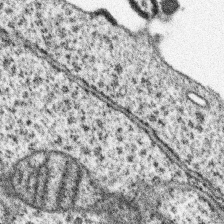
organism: Human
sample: HeLa cells